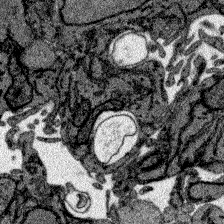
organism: Zebrafish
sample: Larval olfactory bulb